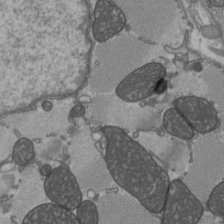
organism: C57BL Mouse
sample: Heart